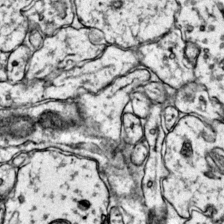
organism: Mouse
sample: Primary visual cortex